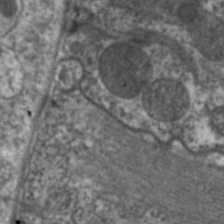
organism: C. elegans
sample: Pharynx